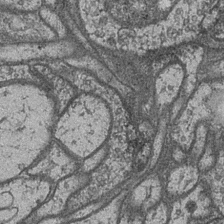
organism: Drosophila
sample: Optic medulla